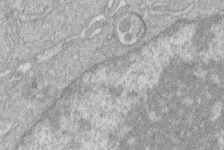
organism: Human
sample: Macrophage cells